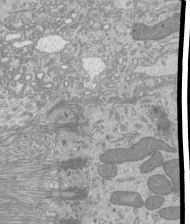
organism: Mouse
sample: Cilia; mouse epididymis